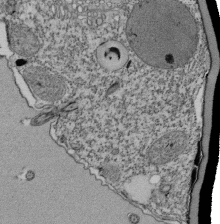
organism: Tetrahymena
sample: Cilia in tetrahymena